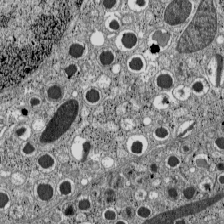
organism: C57BL Mouse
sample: Pancreatic islet